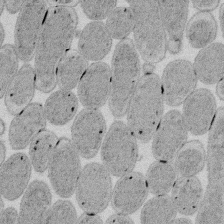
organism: E. coli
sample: Bacterial nucleoid